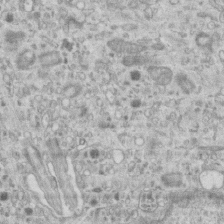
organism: Mouse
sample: Centriole in ependymal cells